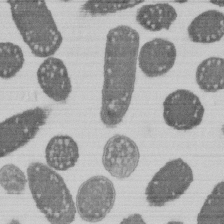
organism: E. coli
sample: Bacterial nucleoid